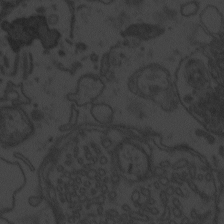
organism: Zebrafish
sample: Macrophage infected with Toxoplasma gondii